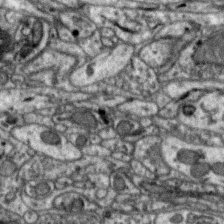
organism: Zebra finch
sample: Brain